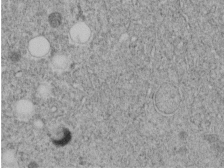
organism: C. elegans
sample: C. elegans embryo early stage